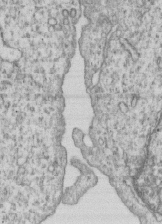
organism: Human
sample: MDA-MB-231 cells